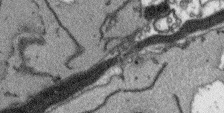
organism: Arabidopsis thaliana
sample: Root tip